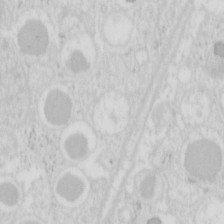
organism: Mouse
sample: Pancreas